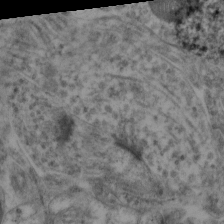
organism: Mouse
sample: Neocortex